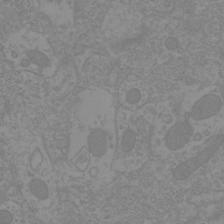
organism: Mouse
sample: Cortical neurons